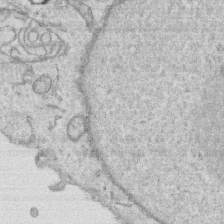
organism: Human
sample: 1205lu cells